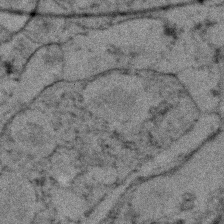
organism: Zebrafish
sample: Zebrafish embryo